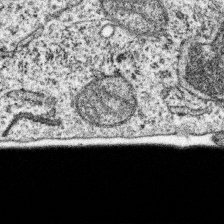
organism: Human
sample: HeLa cells